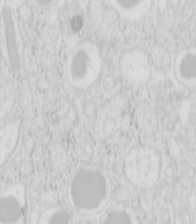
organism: Mouse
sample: Pancreas